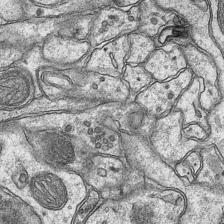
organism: Mouse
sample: CA1 Hippocampus